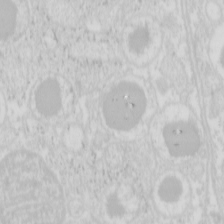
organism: Mouse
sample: Pancreas